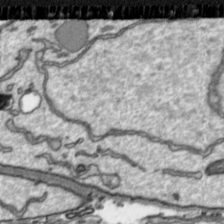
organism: Toxoplasma gondii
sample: Parasites in a vacuole inside a host cell